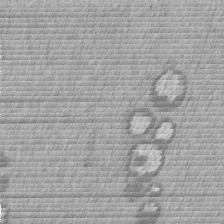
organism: Mouse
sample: Dividing mouse embryo 1 cell stage